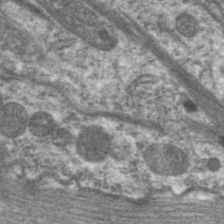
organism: C. elegans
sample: Pharynx